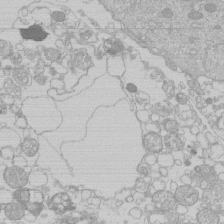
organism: Human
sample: Macrophage cells